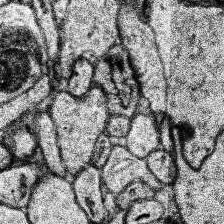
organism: Human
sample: Temporal Lobe